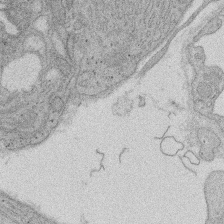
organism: Rat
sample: Salivary granule